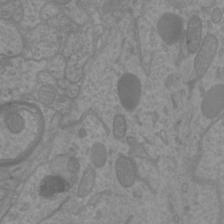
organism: Mouse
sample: Cortical neurons